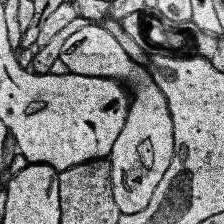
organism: Human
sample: Temporal Lobe